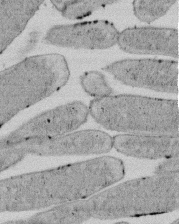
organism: E. coli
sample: Bacterial nucleoid